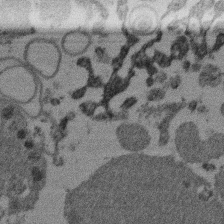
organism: Mouse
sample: Dividing mouse embryo 1 cell stage